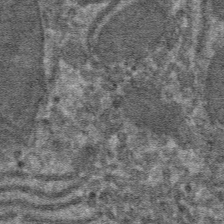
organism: Mouse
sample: Mouse hepatocytes